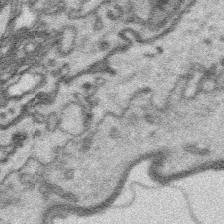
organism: Platynereis dumerilii